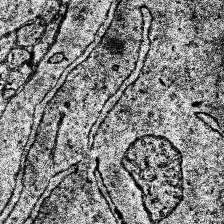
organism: Human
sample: Temporal Lobe